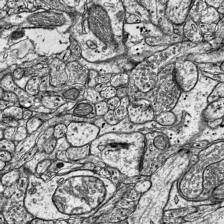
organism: Mouse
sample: Visual Cortex